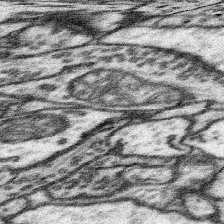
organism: Mouse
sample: Somatosensory cortex neuropil